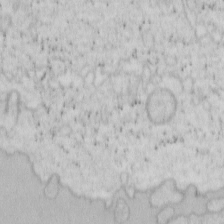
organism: Human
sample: HeLa cells